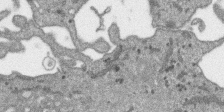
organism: Human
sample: Lung epithelial cells infected with SARS-CoV-2